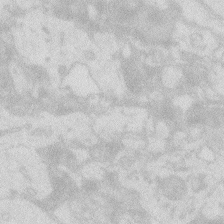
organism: Zebrafish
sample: Macrophage